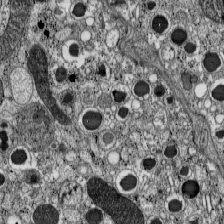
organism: C57BL Mouse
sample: Pancreatic islet